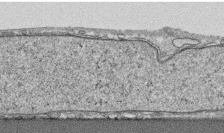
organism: Human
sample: CRL-1474